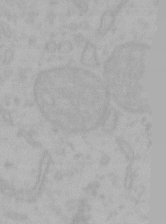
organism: Mouse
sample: Choroid plexus